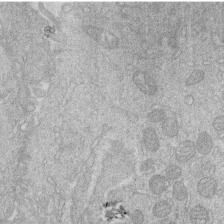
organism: Human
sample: Macrophage cells